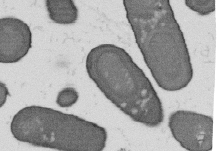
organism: B. subtilis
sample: Bacterial spore